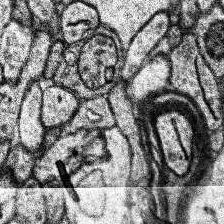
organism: Human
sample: Temporal Lobe